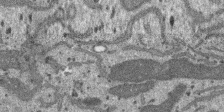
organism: Human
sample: Lung epithelial cells infected with SARS-CoV-2